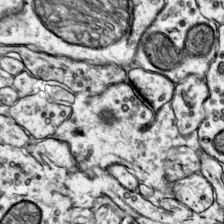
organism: Mouse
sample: Primary visual cortex